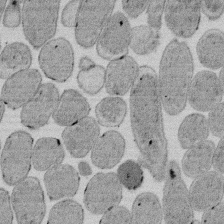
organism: E. coli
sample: Bacterial nucleoid